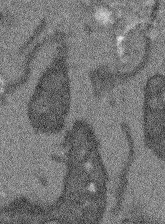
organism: Arabidopsis thaliana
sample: Root tip